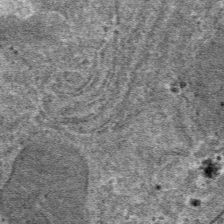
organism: Mouse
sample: Mouse hepatocytes